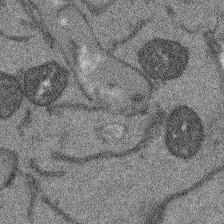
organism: Arabidopsis thaliana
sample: Root tip